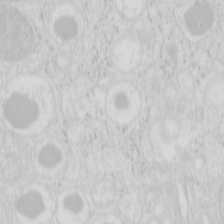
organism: Mouse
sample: Pancreas